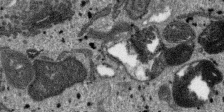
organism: Human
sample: Lung epithelial cells, uninfected (mock) control